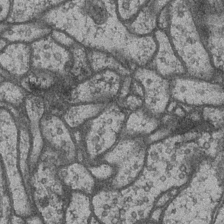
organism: Drosophila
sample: Optic medulla